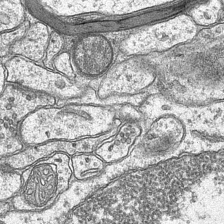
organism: Mouse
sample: CA1 Hippocampus